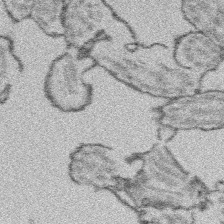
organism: Platynereis dumerilii